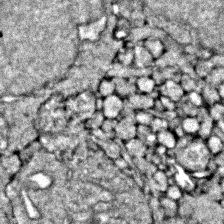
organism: Zebrafish